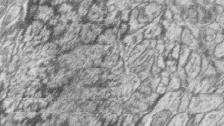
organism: Zebrafish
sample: synaptic ribbons in rod cells and cone cells